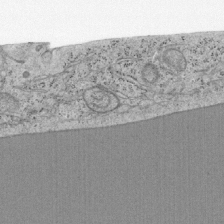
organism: Human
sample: HeLa cells